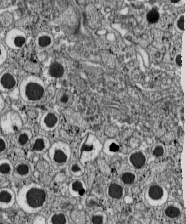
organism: C57BL Mouse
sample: Pancreatic islet